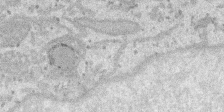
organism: Human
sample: Lung epithelial cells infected with SARS-CoV-2